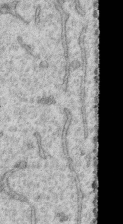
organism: Human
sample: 1205lu cells